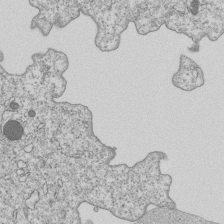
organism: Human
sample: MDA-MB-231 cells